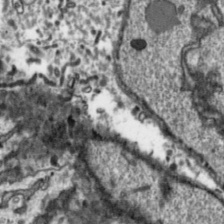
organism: Toxoplasma gondii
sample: Parasites in a vacuole inside a host cell